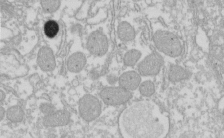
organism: Xenopus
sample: Cilia; centrioles in frog embryo cells